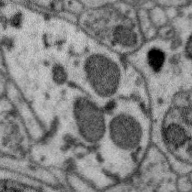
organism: Zebra finch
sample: Brain